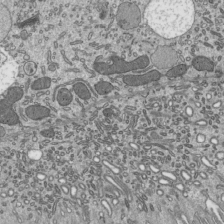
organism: Mouse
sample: Mouse epididymis efferent ductule cilia